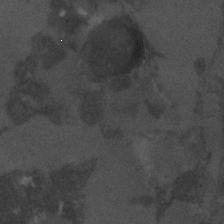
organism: C. elegans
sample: C. elegans embryo